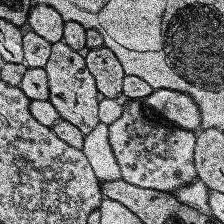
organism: Human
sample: Temporal Lobe